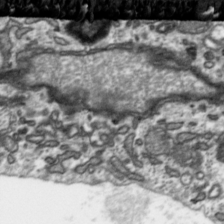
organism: Toxoplasma gondii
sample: Parasites in a vacuole inside a host cell